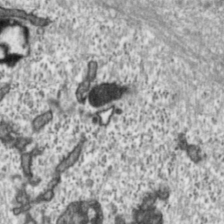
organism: Toxoplasma gondii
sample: Parasites in a vacuole inside a host cell